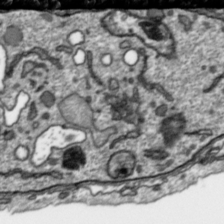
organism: Toxoplasma gondii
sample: Parasites in a vacuole inside a host cell